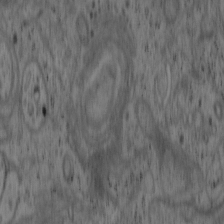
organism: Human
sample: HeLa cells